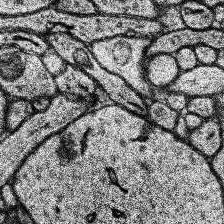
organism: Human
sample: Temporal Lobe